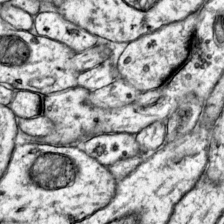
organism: Mouse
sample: Primary visual cortex